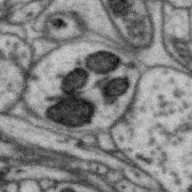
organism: Zebra finch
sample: Brain